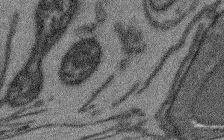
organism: Arabidopsis thaliana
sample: Root tip